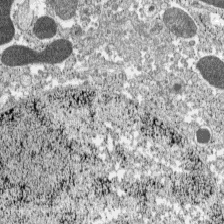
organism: C57BL Mouse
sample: Pancreatic islet